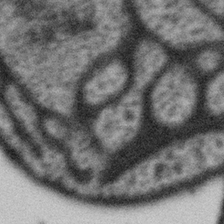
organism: Gemmata obscuriglobus